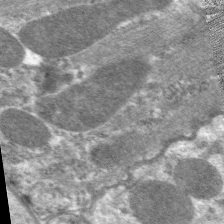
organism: C. elegans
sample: Pharynx